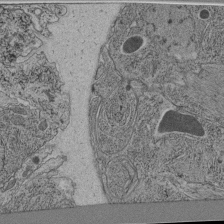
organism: C. elegans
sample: C. elegans pharynx